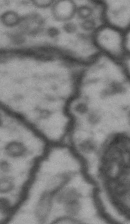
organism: Drosophila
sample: Brain